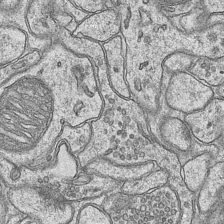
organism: Mouse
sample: CA1 Hippocampus